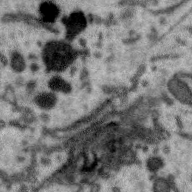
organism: Zebra finch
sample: Brain